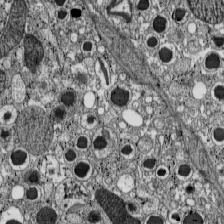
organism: C57BL Mouse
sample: Pancreatic islet